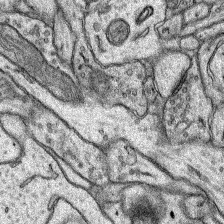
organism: Rat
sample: Hippocampus